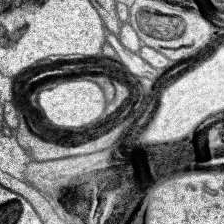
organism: Human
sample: Temporal Lobe